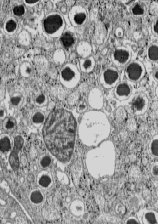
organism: C57BL Mouse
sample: Pancreatic islet